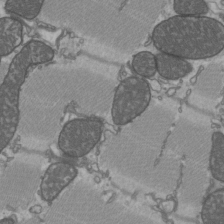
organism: C57BL Mouse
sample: Heart